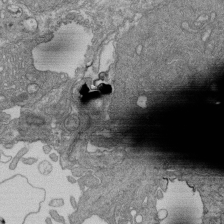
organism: Human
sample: Retinal organoid Rod and Cone cells